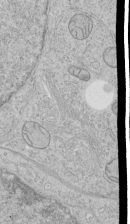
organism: Human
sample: Mitochondria in HCT116 cells